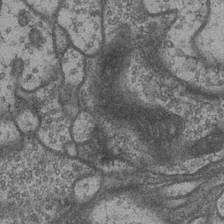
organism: Drosophila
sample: Optic medulla